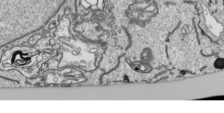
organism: Human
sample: Mitochondria in HCT116 cells